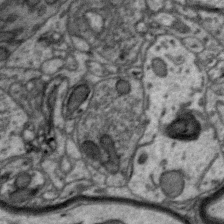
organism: Zebra finch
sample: Brain